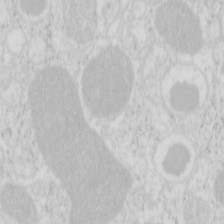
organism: Mouse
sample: Pancreas